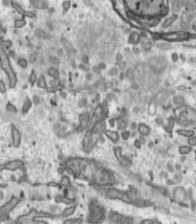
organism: Toxoplasma gondii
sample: Parasites in a vacuole inside a host cell